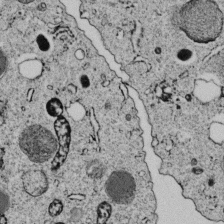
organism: C. elegans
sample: C. elegans embryo early stage